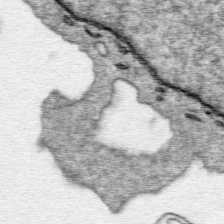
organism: Human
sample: HeLa cells